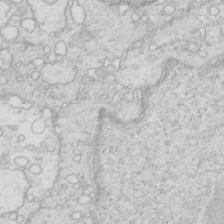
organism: Mouse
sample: Multiciliated cells